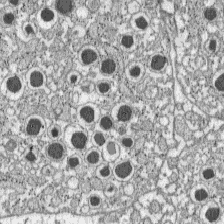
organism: C57BL Mouse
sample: Pancreatic islet